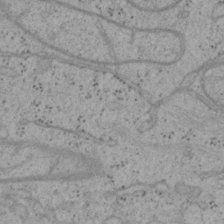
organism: Human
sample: HeLa cells